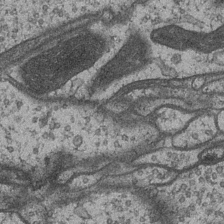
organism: Drosophila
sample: Optic medulla